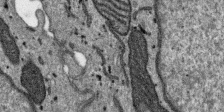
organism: Human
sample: Lung epithelial cells, uninfected (mock) control